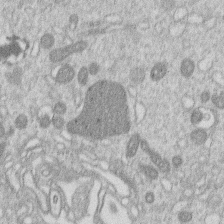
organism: Human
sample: Macrophage cells